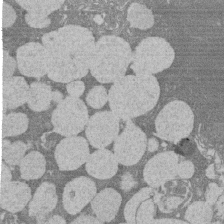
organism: Rat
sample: Salivary granule